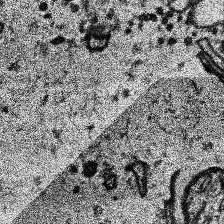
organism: Human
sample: Temporal Lobe